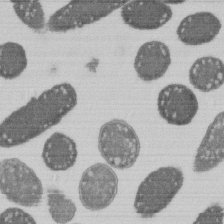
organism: E. coli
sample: Bacterial nucleoid